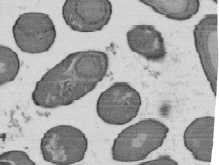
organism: B. subtilis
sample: Bacterial spore